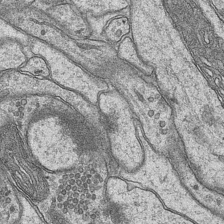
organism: Mouse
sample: CA1 Hippocampus